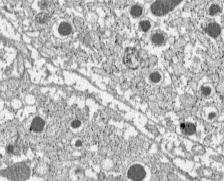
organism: C57BL Mouse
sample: Pancreatic islet